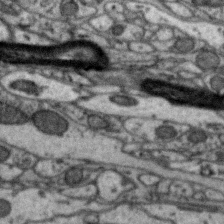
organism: Zebra finch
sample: Brain